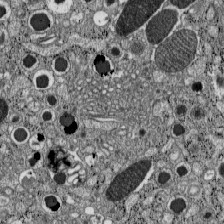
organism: C57BL Mouse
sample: Pancreatic islet